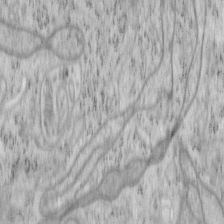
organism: Human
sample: HeLa cells